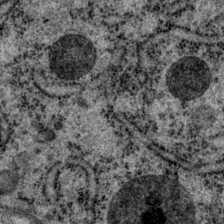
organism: P. pacificus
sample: Pharynx